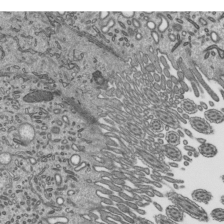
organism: Mouse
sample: Mouse epididymis efferent ductule cilia